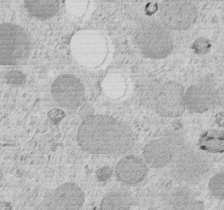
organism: C. elegans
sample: C. elegans embryo early stage